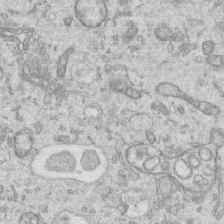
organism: Human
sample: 1205lu cells